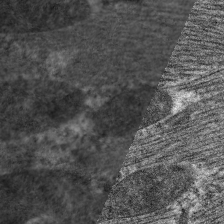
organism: C. elegans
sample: Pharynx